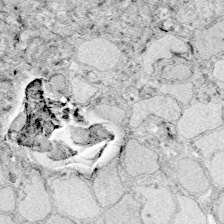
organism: Zebrafish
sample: Whole-Brain